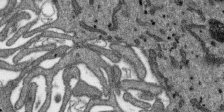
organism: Human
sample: Lung epithelial cells, uninfected (mock) control